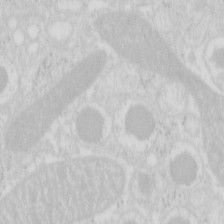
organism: Mouse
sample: Pancreas